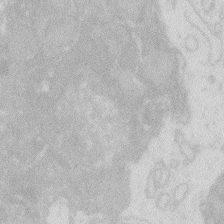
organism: Zebrafish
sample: Macrophage